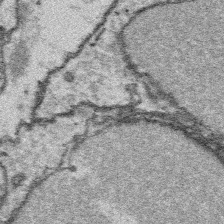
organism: Platynereis dumerilii